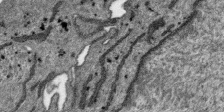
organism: Human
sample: Lung epithelial cells, uninfected (mock) control